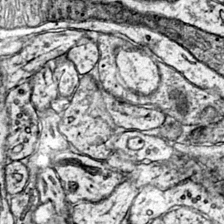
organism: Mouse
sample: Primary visual cortex